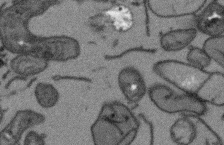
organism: Arabidopsis thaliana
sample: Root tip